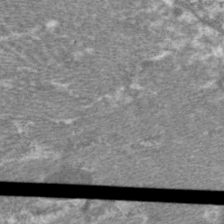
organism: C. elegans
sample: Pharynx